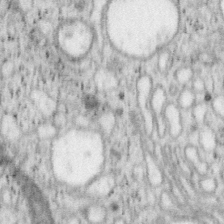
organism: Mouse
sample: OT-I killer T cells with ID8 ovarian cancer cells